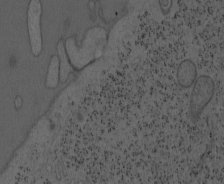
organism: Mouse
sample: OT-I killer T cells with ID8 ovarian cancer cells